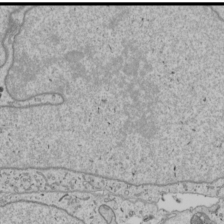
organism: Human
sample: Mitochondria in U2OS cells